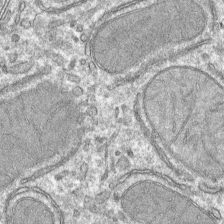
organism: Mouse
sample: Mouse hepatocytes